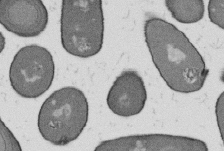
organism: B. subtilis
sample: Bacterial spore